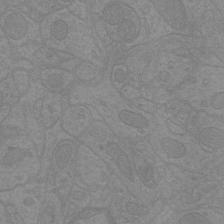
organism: Mouse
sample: Cortical neurons